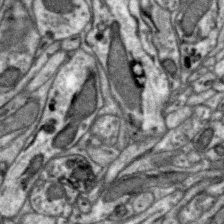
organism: Zebra finch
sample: Brain